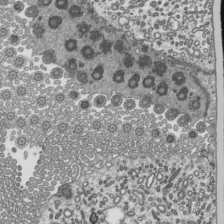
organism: Mouse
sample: Mouse epididymis efferent ductule cilia